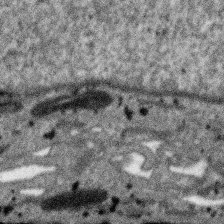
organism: Human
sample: Lung epithelial cells infected with SARS-CoV-2